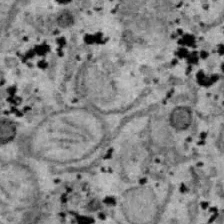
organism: Mouse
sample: Liver from an obese (ob/ob) mouse